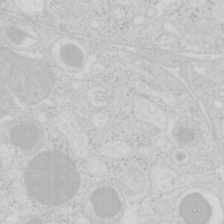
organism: Mouse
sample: Pancreas